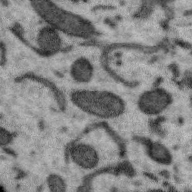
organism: Zebra finch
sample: Brain